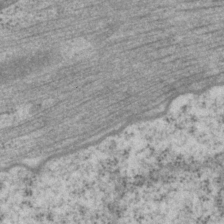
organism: P. pacificus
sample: Pharynx